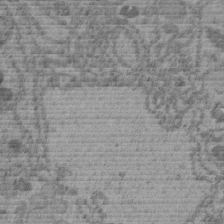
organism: C. elegans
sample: C. elegans embryo early stage